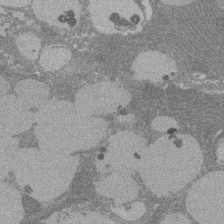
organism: Rat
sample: Salivary granule